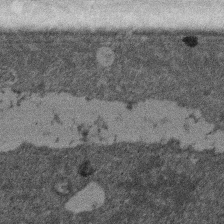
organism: Mouse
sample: Dividing mouse embryo 1 cell stage